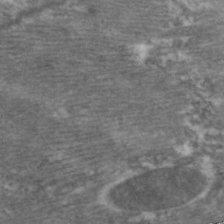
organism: C. elegans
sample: Pharynx